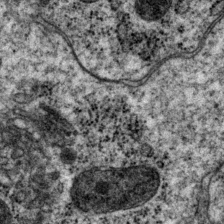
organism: P. pacificus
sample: Pharynx